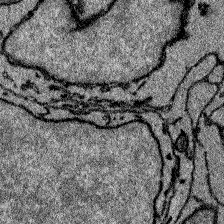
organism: Zebrafish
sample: Larval olfactory bulb